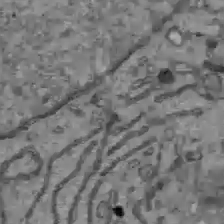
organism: C57BL Mouse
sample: Liver